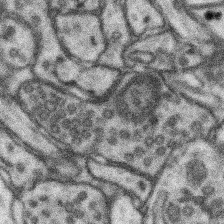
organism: Mouse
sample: Somatosensory cortex neuropil